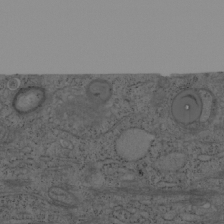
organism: Human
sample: HeLa cells